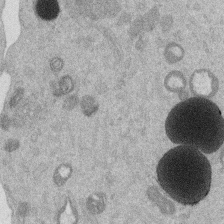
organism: Mouse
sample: Dividing mouse embryo 1 cell stage